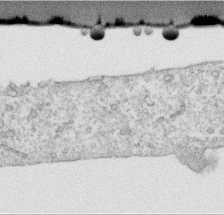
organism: Human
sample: Centriole in RPE cells